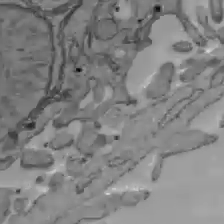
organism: C57BL Mouse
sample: Liver